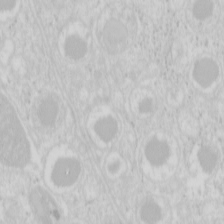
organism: Mouse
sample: Pancreas